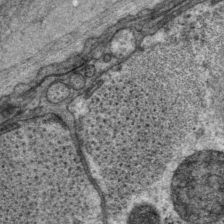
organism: P. pacificus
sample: Pharynx